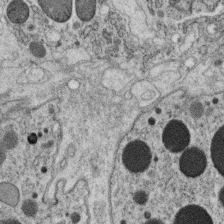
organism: C. elegans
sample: C. elegans oocyte; sperm cells